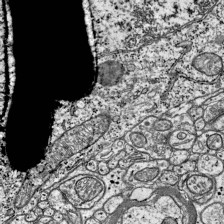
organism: Mouse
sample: Visual Cortex